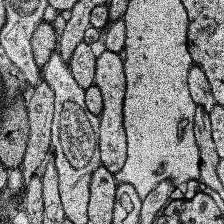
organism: Human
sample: Temporal Lobe